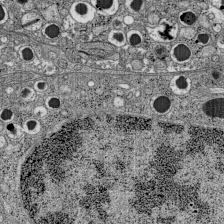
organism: C57BL Mouse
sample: Pancreatic islet